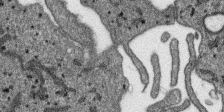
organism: Human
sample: Lung epithelial cells infected with SARS-CoV-2